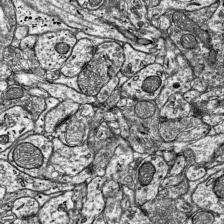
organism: Mouse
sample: Visual Cortex